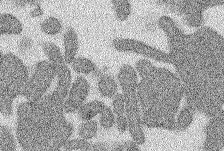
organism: Human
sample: HeLa cells